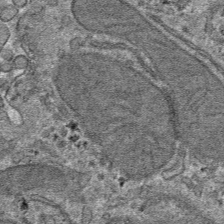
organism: Mouse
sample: Mouse hepatocytes